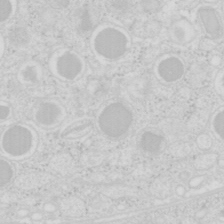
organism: Mouse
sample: Pancreas